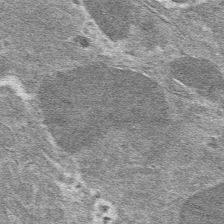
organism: Mouse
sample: Mouse hepatocytes